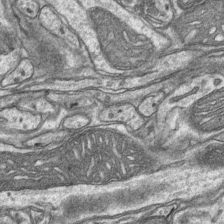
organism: Mouse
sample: CA1 Hippocampus